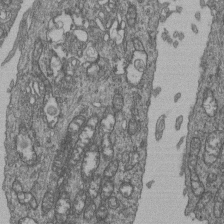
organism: Human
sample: Retinal organoid Rod and Cone cells